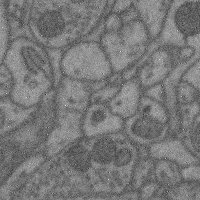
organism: Mouse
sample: Cerebral cortex